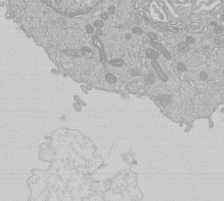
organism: Human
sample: Macrophage cells